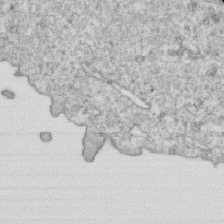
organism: Mouse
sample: Activated OT-1 CD8+ T cells